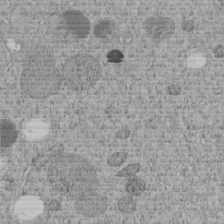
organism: C. elegans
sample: C. elegans embryo early stage